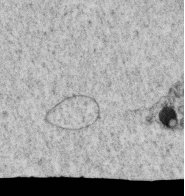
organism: C. elegans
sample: C. elegans oocyte; sperm cells